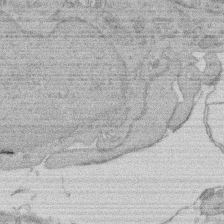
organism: Rat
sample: Salivary granule